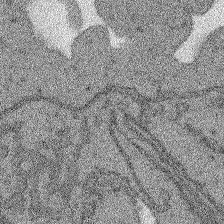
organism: Human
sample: HeLa cells